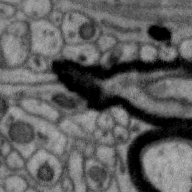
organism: Zebra finch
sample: Brain